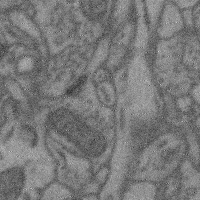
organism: Mouse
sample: Cerebral cortex